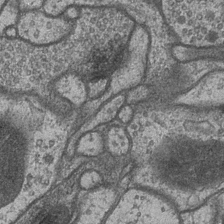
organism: Drosophila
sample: Optic medulla